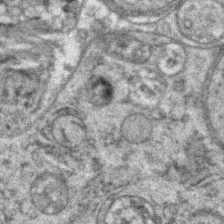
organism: Zebrafish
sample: Zebrafish embryo